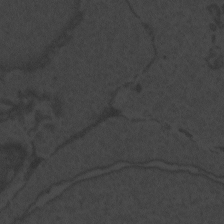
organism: Zebrafish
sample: Macrophage infected with Toxoplasma gondii